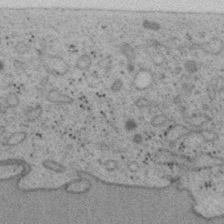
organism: Human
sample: HeLa cells